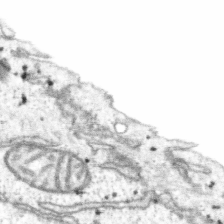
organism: Human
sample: HeLa cells